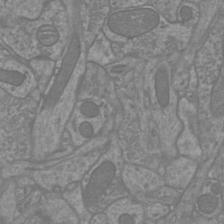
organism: Mouse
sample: Cortical neurons